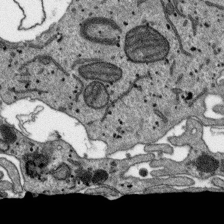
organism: Human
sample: Lung epithelial cells, uninfected (mock) control